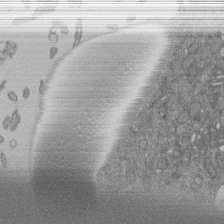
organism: Human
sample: Retinal organoid Rod and Cone cells